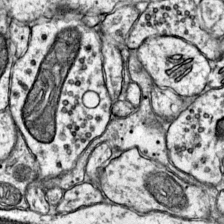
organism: Mouse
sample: Primary visual cortex